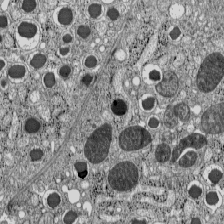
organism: C57BL Mouse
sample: Pancreatic islet